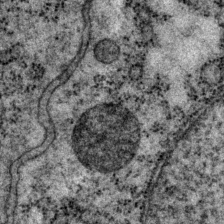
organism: P. pacificus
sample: Pharynx